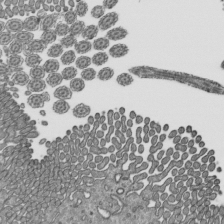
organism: Mouse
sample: Mouse epididymis efferent ductule cilia